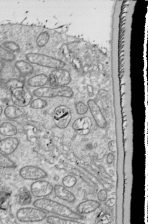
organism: Drosophila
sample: Cell division; meiosis; drosophila spermatocytes